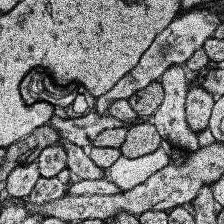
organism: Human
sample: Temporal Lobe